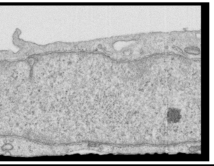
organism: Human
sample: Centriole in RPE cells